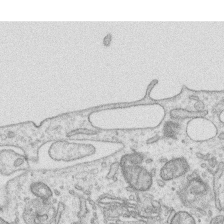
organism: Human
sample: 1205lu cells